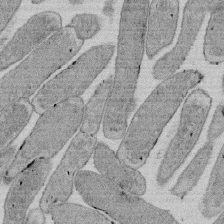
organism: E. coli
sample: Bacterial nucleoid